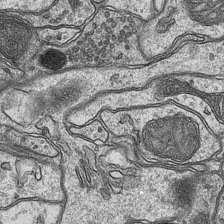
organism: Mouse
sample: CA1 Hippocampus